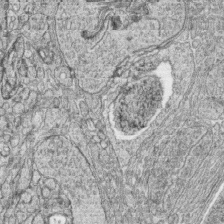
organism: Zebrafish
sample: synaptic ribbons in rod cells and cone cells